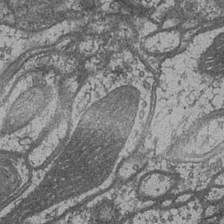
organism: Drosophila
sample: Optic medulla